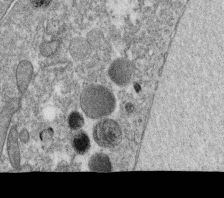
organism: C. elegans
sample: C. elegans oocyte; sperm cells